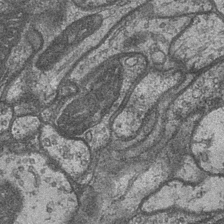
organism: Drosophila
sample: Optic medulla